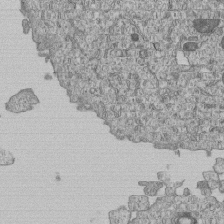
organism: Human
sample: MDA-MB-231 cells